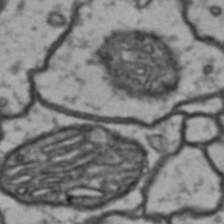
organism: Drosophila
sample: Brain